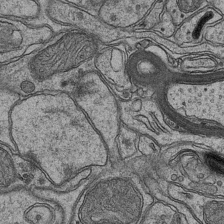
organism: Mouse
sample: CA1 Hippocampus